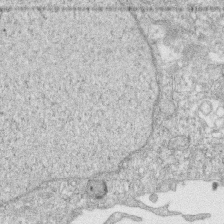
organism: Human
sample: HeLa cell HIV synapse